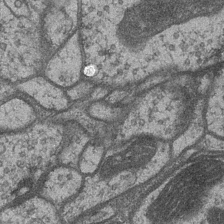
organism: Drosophila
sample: Optic medulla